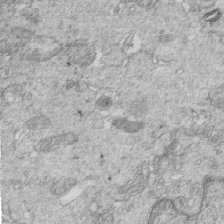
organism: Mouse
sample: Multiciliated cells